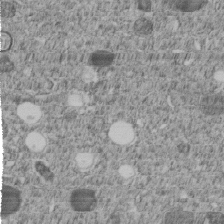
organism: C. elegans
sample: C. elegans embryo early stage